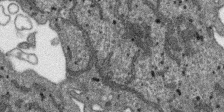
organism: Human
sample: Lung epithelial cells infected with SARS-CoV-2